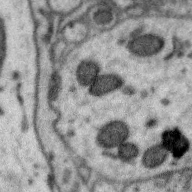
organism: Zebra finch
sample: Brain